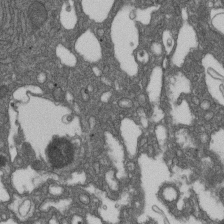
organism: Drosophila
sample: Nephrocyte